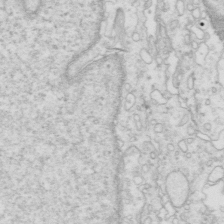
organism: Mouse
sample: Multiciliated cells